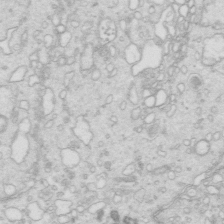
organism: Mouse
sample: Multiciliated cells